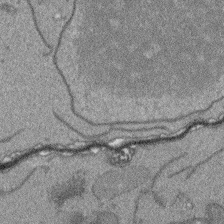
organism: Arabidopsis thaliana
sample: Root tip